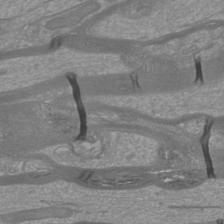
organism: Mouse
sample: Cortical neurons